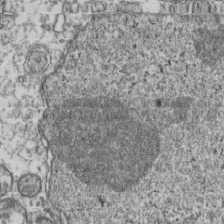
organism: Human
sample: Activated Jurkat CD4+ T cells